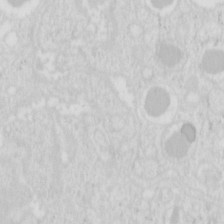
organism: Mouse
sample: Pancreas